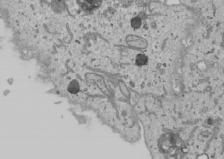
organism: Human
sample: Mitochondria in U2OS cells